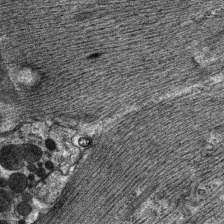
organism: C. elegans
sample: Pharynx